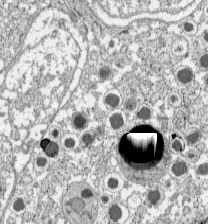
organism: C57BL Mouse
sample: Pancreatic islet